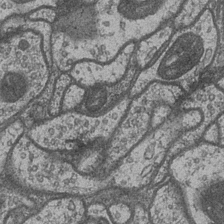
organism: Drosophila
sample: Optic medulla